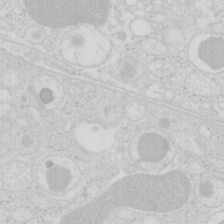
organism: Mouse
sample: Pancreas